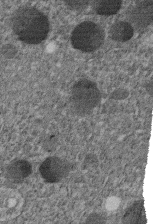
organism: C. elegans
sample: C. elegans embryo early stage